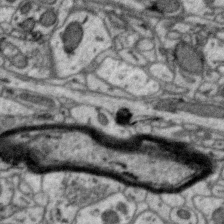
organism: Zebra finch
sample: Brain